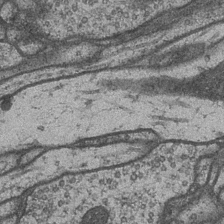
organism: Drosophila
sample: Optic medulla